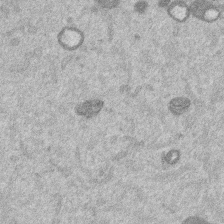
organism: Mouse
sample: Dividing mouse embryo 1 cell stage